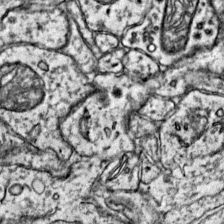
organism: Mouse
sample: Primary visual cortex